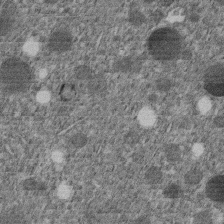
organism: C. elegans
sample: C. elegans embryo early stage